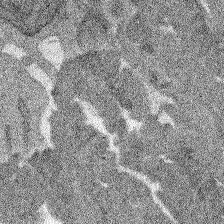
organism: Human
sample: HeLa cells